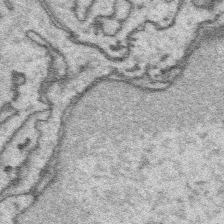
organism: Platynereis dumerilii